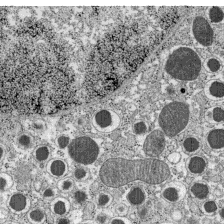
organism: C57BL Mouse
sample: Pancreatic islet